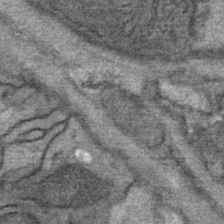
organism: Mouse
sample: Mouse Salivary gland